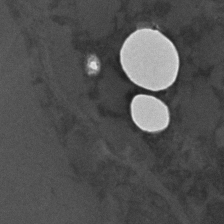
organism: C. elegans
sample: C. elegans embryo